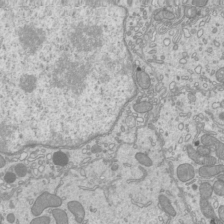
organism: Mouse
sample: Cilia; mouse epididymis